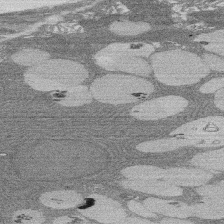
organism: Rat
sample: Salivary granule